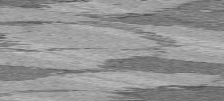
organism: C57BL Mouse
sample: Heart